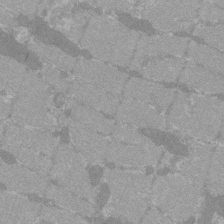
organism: C57BL Mouse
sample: Tibialis anterior muscle cell